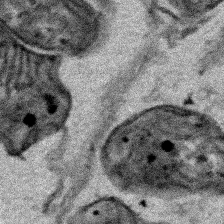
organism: Human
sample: Mitochondria in HCT116 cells